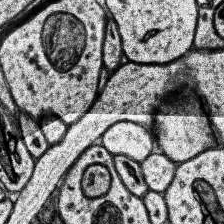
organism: Human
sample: Temporal Lobe